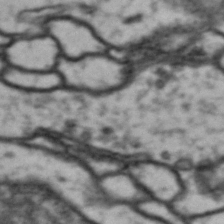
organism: Drosophila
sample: Brain